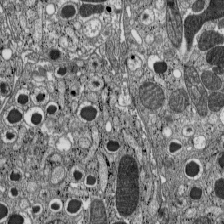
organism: C57BL Mouse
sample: Pancreatic islet